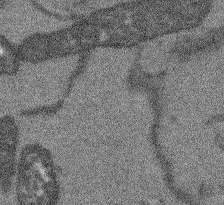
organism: Arabidopsis thaliana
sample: Root tip